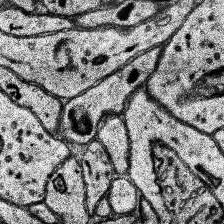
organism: Human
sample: Temporal Lobe